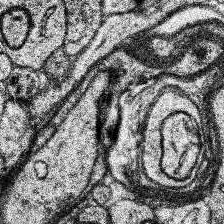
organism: Human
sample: Temporal Lobe